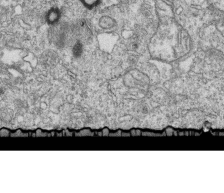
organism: Human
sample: HeLa cell HIV synapse